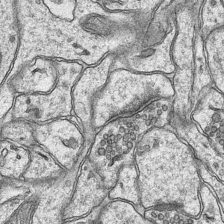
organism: Mouse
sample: CA1 Hippocampus